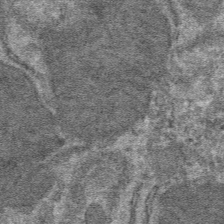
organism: Mouse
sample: Mouse hepatocytes